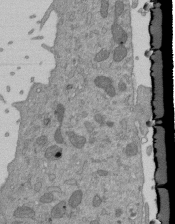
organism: Mouse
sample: ED-1 cell nuclei; centrioles